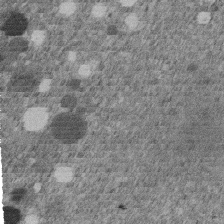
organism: C. elegans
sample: C. elegans embryo early stage